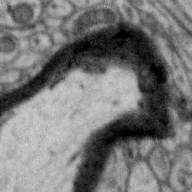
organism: Zebra finch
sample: Brain